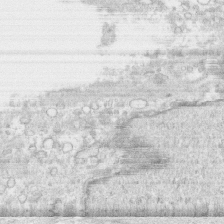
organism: Human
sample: CRL-1474